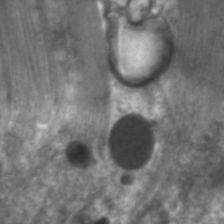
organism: C. elegans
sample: Pharynx